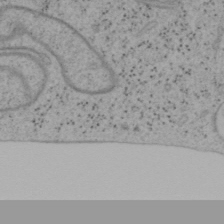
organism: Human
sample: HeLa cells